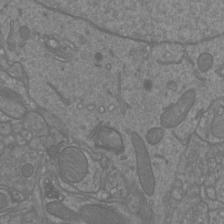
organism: Mouse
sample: Cortical neurons